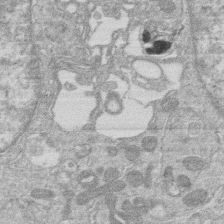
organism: Human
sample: Macrophage cells